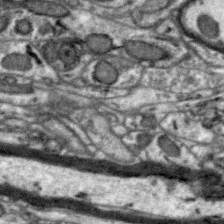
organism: Zebra finch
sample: Brain